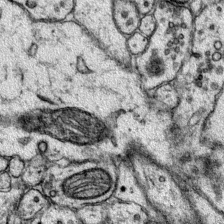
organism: Mouse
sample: Primary visual cortex